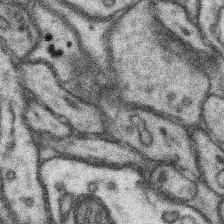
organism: Mouse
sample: Somatosensory cortex neuropil